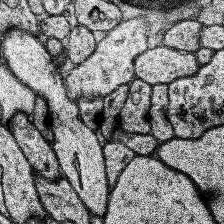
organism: Human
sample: Temporal Lobe